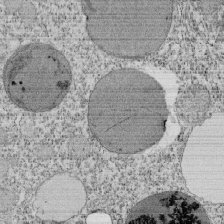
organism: Tetrahymena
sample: Cilia in tetrahymena